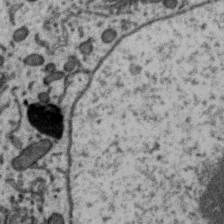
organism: Zebra finch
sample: Brain